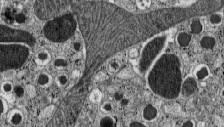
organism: C57BL Mouse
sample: Pancreatic islet